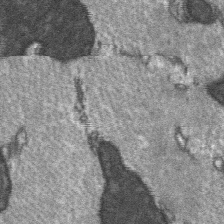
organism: C57BL Mouse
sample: Soleus